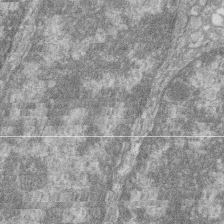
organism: Zebrafish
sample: Cilia; retinal pigment epithelium